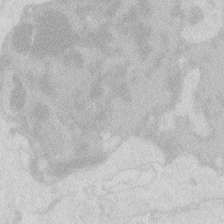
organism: Zebrafish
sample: Macrophage